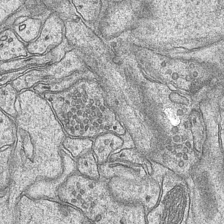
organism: Mouse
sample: CA1 Hippocampus